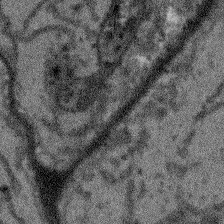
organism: Arabidopsis thaliana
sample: Root tip